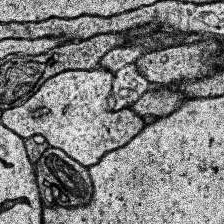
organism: Human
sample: Temporal Lobe